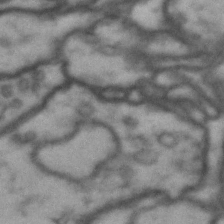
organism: Drosophila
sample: Brain